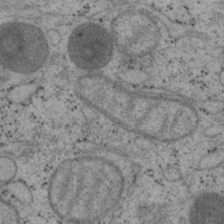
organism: Human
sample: HeLa cells